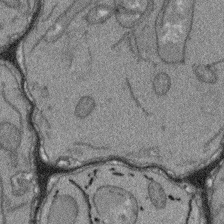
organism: Arabidopsis thaliana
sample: Root tip